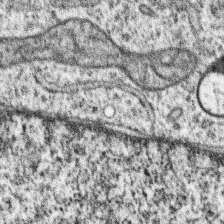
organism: Human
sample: HeLa cells